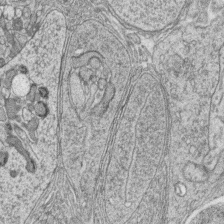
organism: Zebrafish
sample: synaptic ribbons in rod cells and cone cells